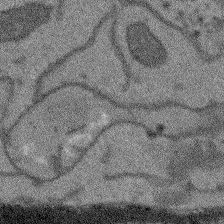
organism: Arabidopsis thaliana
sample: Root tip